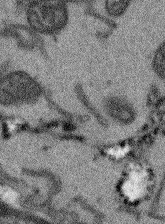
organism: Arabidopsis thaliana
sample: Root tip